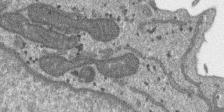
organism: Human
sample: Lung epithelial cells infected with SARS-CoV-2